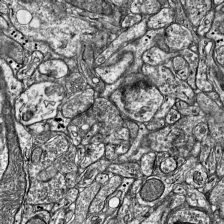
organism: Mouse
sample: Visual Cortex